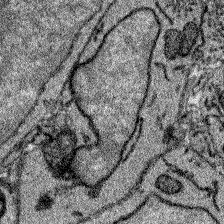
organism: Zebrafish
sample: Larval olfactory bulb